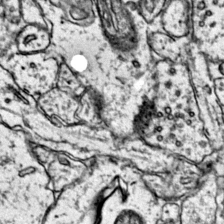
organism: Mouse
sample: Primary visual cortex